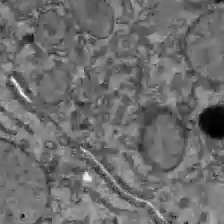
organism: C57BL Mouse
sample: Liver